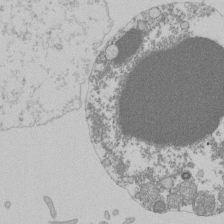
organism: Mouse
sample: Activated Pmel transgenic CD8+ T Cells